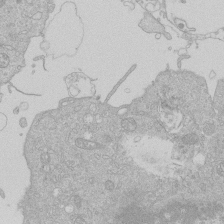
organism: Human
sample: Macrophage cells